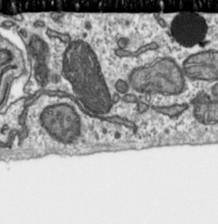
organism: Toxoplasma gondii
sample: Parasites in a vacuole inside a host cell